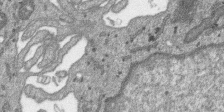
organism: Human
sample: Lung epithelial cells infected with SARS-CoV-2